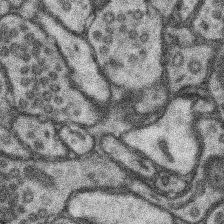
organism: Mouse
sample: Somatosensory cortex neuropil